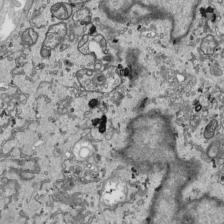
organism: Human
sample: Mitochondria in HCT116 cells